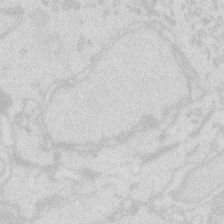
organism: Zebrafish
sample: Macrophage